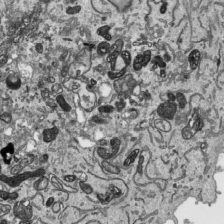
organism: Human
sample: Mitochondria in HCT116 cells